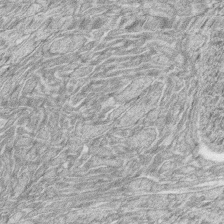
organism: Zebrafish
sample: synaptic ribbons in rod cells and cone cells